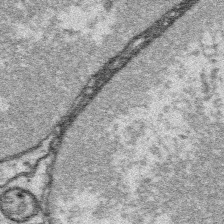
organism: Platynereis dumerilii